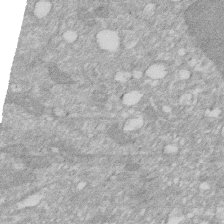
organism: Human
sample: HIV infected U937 cells